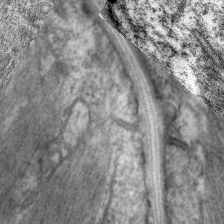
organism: C. elegans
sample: Pharynx